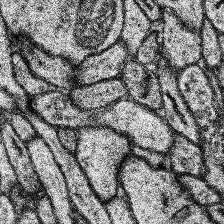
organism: Human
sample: Temporal Lobe